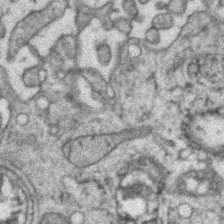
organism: Zebrafish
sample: Zebrafish embryo